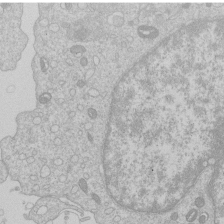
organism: Human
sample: Macrophage cells